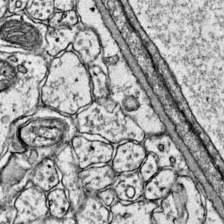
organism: Mouse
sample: Primary visual cortex